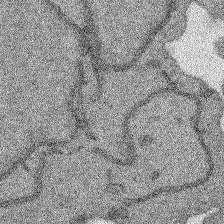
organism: Human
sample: HeLa cells